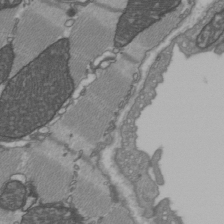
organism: C57BL Mouse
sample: Heart